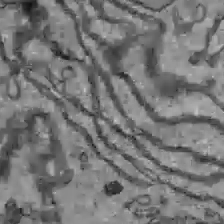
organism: C57BL Mouse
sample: Liver